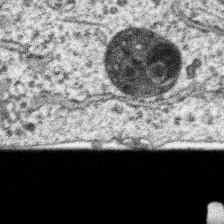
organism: Human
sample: HeLa cells